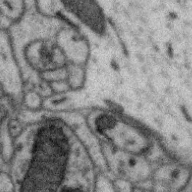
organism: Zebra finch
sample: Brain